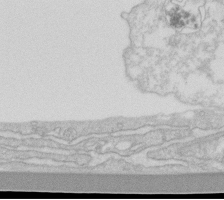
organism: Human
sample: Fibroblast cells